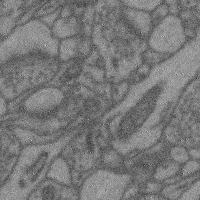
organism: Mouse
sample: Cerebral cortex